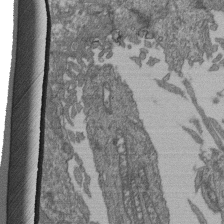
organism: Human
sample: Retinal organoid Rod and Cone cells